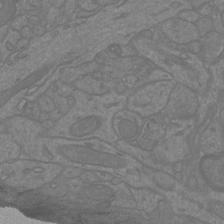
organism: Mouse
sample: Cortical neurons